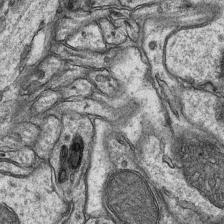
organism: Mouse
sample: CA1 Hippocampus